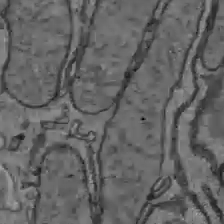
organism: C57BL Mouse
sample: Liver